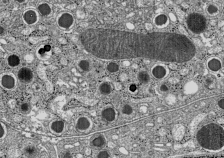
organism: C57BL Mouse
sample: Pancreatic islet